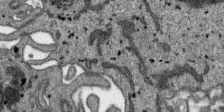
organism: Human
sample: Lung epithelial cells, uninfected (mock) control